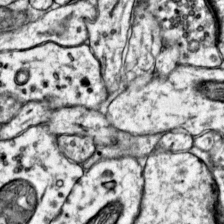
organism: Mouse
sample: Primary visual cortex